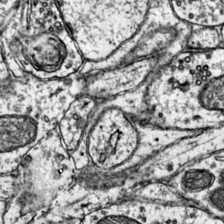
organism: Mouse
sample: Primary visual cortex